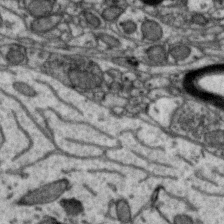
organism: Zebra finch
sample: Brain